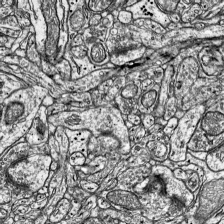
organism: Mouse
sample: Visual Cortex